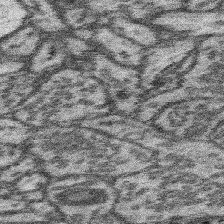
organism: Mouse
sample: Somatosensory cortex neuropil